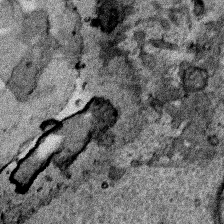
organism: Human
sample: Mitochondria in HCT116 cells